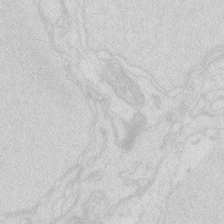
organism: Zebrafish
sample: Macrophage